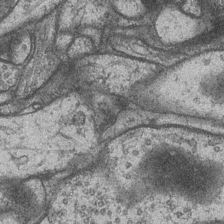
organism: Drosophila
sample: Optic medulla